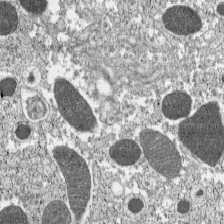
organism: C57BL Mouse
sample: Pancreatic islet